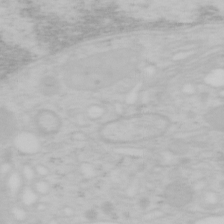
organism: Mouse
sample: OT-I killer T cells with ID8 ovarian cancer cells